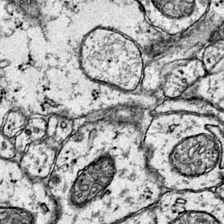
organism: Mouse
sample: Primary visual cortex